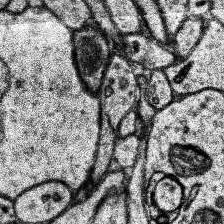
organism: Human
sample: Temporal Lobe